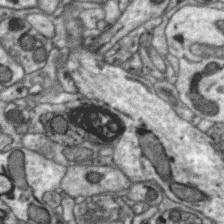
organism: Zebra finch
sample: Brain